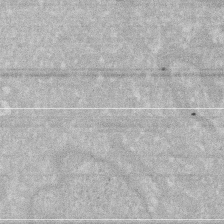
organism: Human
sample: HIV infected U937 cells